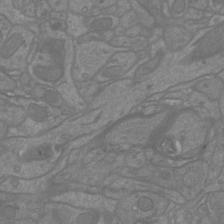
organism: Mouse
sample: Cortical neurons